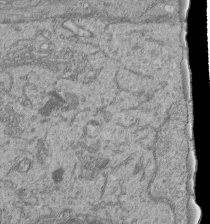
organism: Human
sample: Retinal organoid Rod and Cone cells